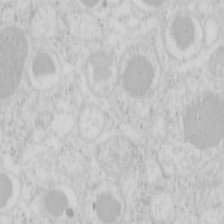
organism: Mouse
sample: Pancreas